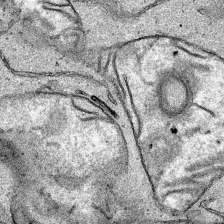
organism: Human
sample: Mitochondria in HCT116 cells